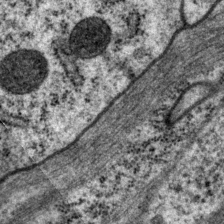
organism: P. pacificus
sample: Pharynx